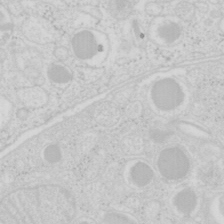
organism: Mouse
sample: Pancreas